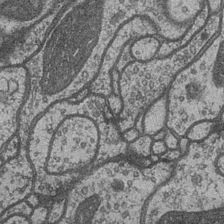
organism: Drosophila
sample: Optic medulla